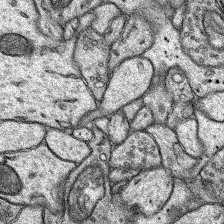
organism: Rat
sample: Hippocampus